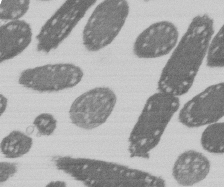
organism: E. coli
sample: Bacterial nucleoid